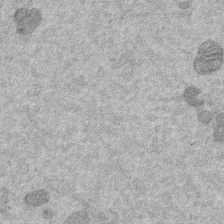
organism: Mouse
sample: Dividing mouse embryo 1 cell stage